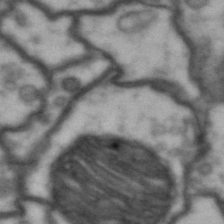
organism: Drosophila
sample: Brain